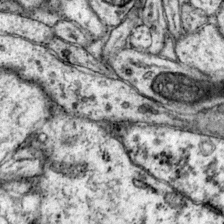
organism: Mouse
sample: Primary visual cortex